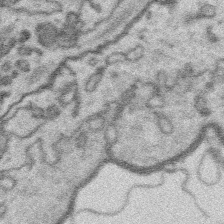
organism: Platynereis dumerilii